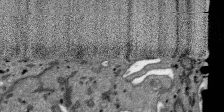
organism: Human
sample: Lung epithelial cells, uninfected (mock) control